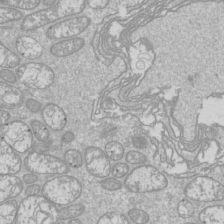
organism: Drosophila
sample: Cell division; meiosis; drosophila spermatocytes